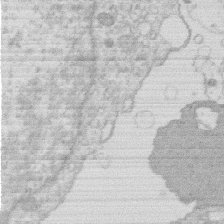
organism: Human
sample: Macrophage cells